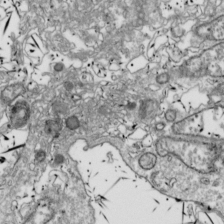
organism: Drosophila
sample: Cell division; meiosis; drosophila spermatocytes